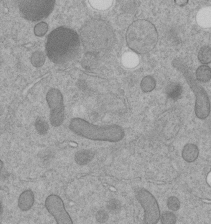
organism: C. elegans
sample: C. elegans embryo early stage